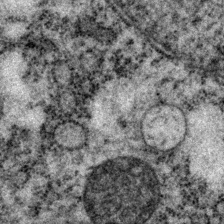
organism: P. pacificus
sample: Pharynx